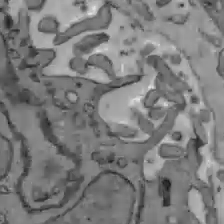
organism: C57BL Mouse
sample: Liver